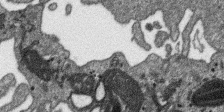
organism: Human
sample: Lung epithelial cells infected with SARS-CoV-2